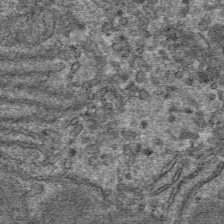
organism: Mouse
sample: Mouse hepatocytes